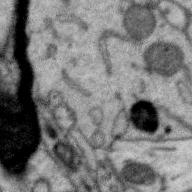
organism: Zebra finch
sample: Brain